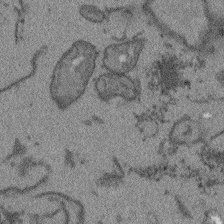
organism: Arabidopsis thaliana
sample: Root tip